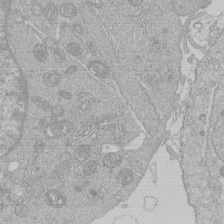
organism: Human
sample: Macrophage cells